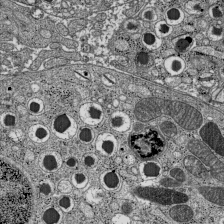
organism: C57BL Mouse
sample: Pancreatic islet